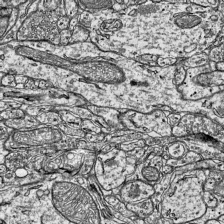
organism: Mouse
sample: Visual Cortex